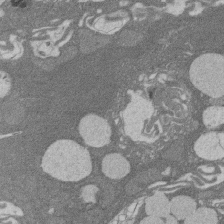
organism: Rat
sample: Salivary granule